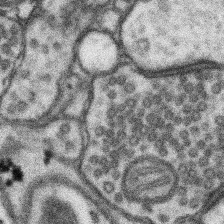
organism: Mouse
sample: Somatosensory cortex neuropil